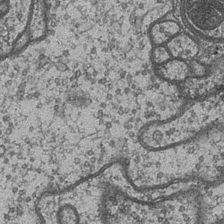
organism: Drosophila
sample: Optic medulla